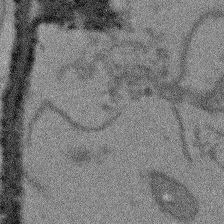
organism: Arabidopsis thaliana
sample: Root tip